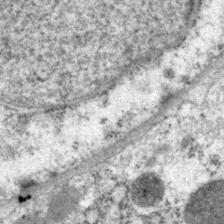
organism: P. pacificus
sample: Pharynx